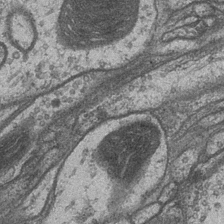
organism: Drosophila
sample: Optic medulla